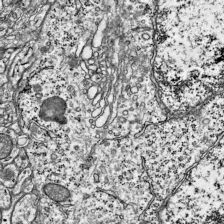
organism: Mouse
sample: Visual Cortex